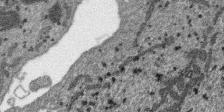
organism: Human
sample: Lung epithelial cells infected with SARS-CoV-2